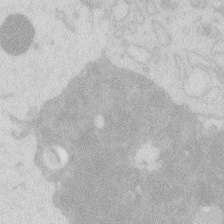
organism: Zebrafish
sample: Macrophage